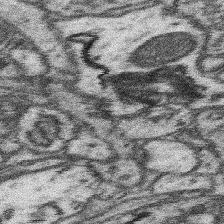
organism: Mouse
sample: Somatosensory cortex neuropil